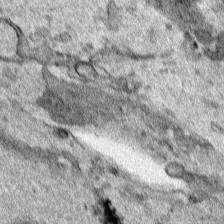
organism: Human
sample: Mitochondria in HCT116 cells